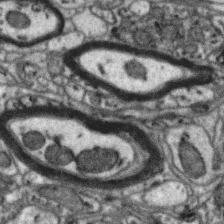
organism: Zebra finch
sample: Brain